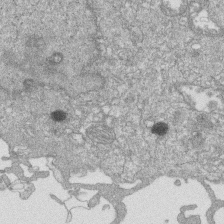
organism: Human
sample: HeLa cell HIV synapse